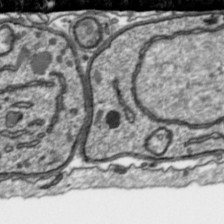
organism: Toxoplasma gondii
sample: Parasites in a vacuole inside a host cell